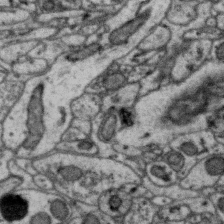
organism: Zebra finch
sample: Brain